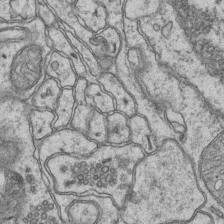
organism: Mouse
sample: CA1 Hippocampus